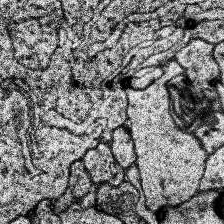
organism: Human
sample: Temporal Lobe